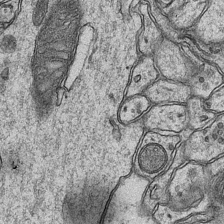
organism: Mouse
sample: CA1 Hippocampus